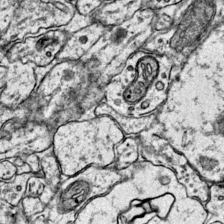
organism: Mouse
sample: Primary visual cortex